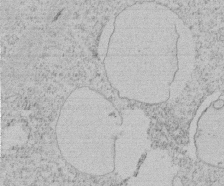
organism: Tetrahymena